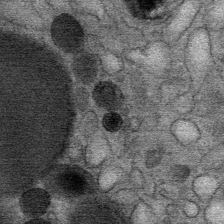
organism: Mouse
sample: Mouse Salivary gland